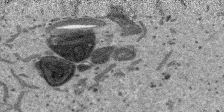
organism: Human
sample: Lung epithelial cells infected with SARS-CoV-2